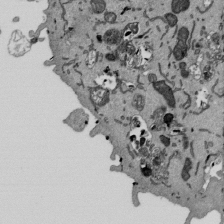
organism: Mouse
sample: ED-1 cell nuclei; centrioles